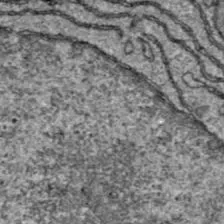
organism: C57BL Mouse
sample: Liver